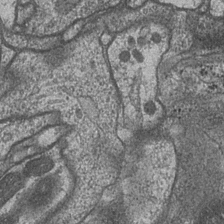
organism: Drosophila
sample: Optic medulla